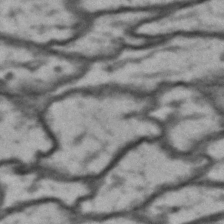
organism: Drosophila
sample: Brain